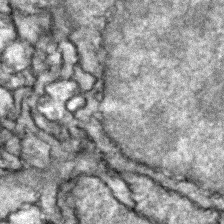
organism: Zebrafish